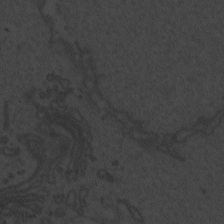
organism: Zebrafish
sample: Macrophage infected with Toxoplasma gondii